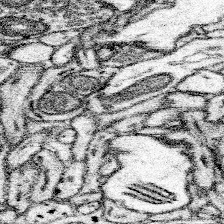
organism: Mouse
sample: Somatosensory cortex neuropil